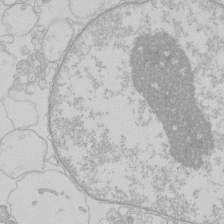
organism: Human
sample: Macrophage cells